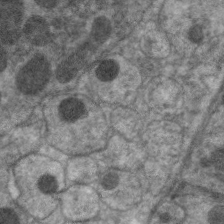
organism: C. elegans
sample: Pharynx